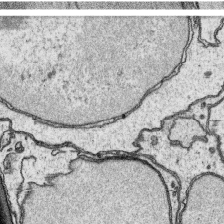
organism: Platynereis dumerilii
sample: Parapodia